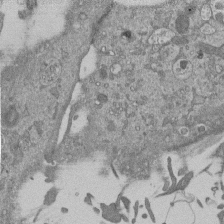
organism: Mouse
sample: ED-1 cell nuclei; centrioles